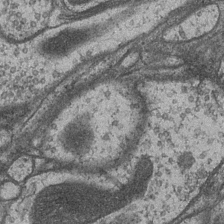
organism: Drosophila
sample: Optic medulla